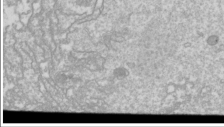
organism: Drosophila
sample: Cell division; meiosis; drosophila spermatocytes